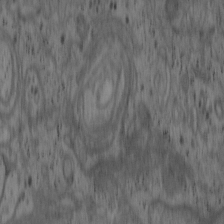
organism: Human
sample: HeLa cells